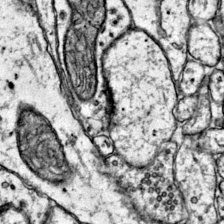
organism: Mouse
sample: Primary visual cortex